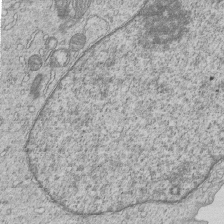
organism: Human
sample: MDA-MB-231 cells